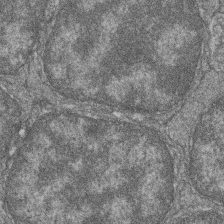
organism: Zebrafish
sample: Cilia; retinal pigment epithelium